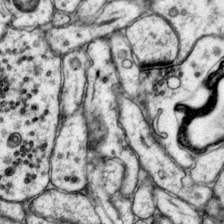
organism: Mouse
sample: Primary visual cortex